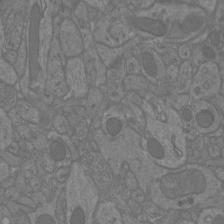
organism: Mouse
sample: Cortical neurons